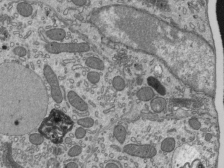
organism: Mouse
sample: Mouse epididymis efferent ductule cilia